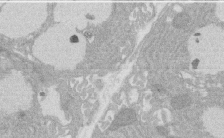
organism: Rat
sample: Salivary granule